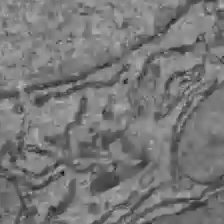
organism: C57BL Mouse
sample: Liver